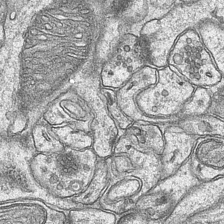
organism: Mouse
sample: CA1 Hippocampus